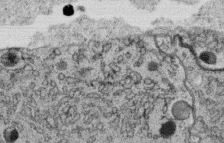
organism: C. elegans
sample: C. elegans oocyte; sperm cells